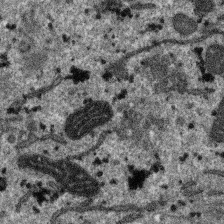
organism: Human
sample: Lung epithelial cells infected with SARS-CoV-2